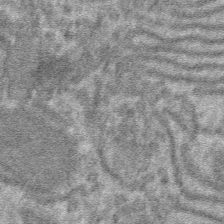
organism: Mouse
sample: Mouse hepatocytes